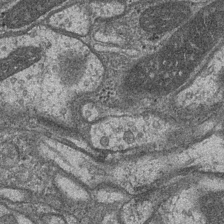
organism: Drosophila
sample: Optic medulla